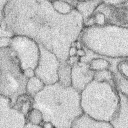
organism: Rabbit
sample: Retina